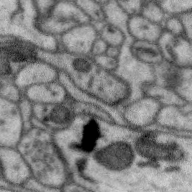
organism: Zebra finch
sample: Brain